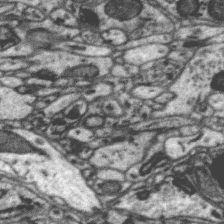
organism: Zebra finch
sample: Brain